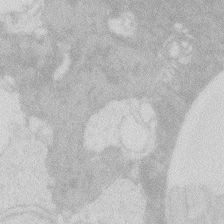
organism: Zebrafish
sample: Macrophage